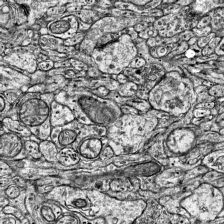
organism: Mouse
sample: Visual Cortex